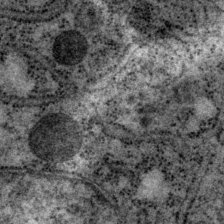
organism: P. pacificus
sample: Pharynx